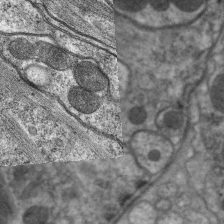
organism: C. elegans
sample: Pharynx